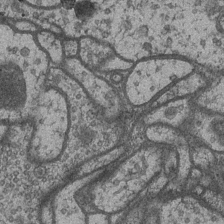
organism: Drosophila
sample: Optic medulla